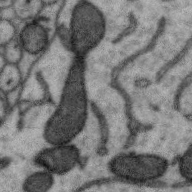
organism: Zebra finch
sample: Brain